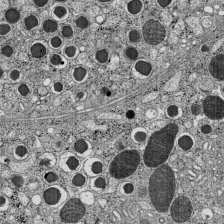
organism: C57BL Mouse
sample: Pancreatic islet